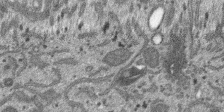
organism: Human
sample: Lung epithelial cells infected with SARS-CoV-2